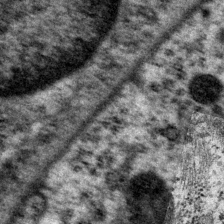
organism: P. pacificus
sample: Pharynx